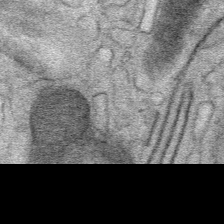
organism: Mouse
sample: Mouse Salivary gland